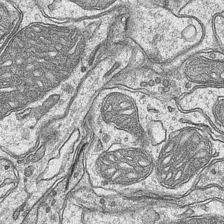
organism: Mouse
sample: CA1 Hippocampus